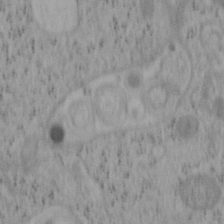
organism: Mouse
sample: OT-I killer T cells with ID8 ovarian cancer cells